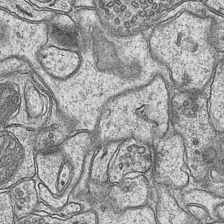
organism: Mouse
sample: CA1 Hippocampus